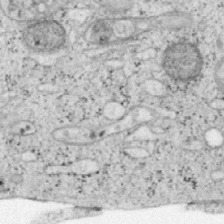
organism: Mouse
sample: OT-I killer T cells with ID8 ovarian cancer cells